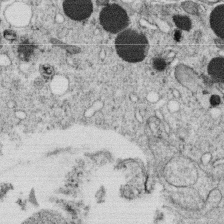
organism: C. elegans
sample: C. elegans oocyte; sperm cells